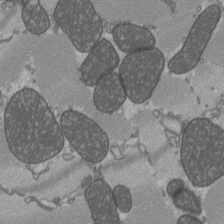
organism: C57BL Mouse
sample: Heart